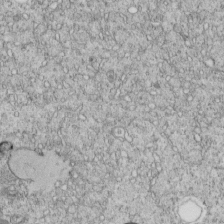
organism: C. elegans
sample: C. elegans embryo early stage